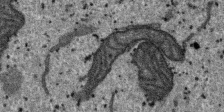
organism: Human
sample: Lung epithelial cells, uninfected (mock) control